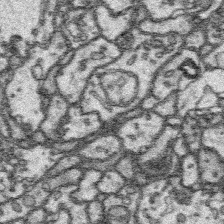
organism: Platynereis dumerilii